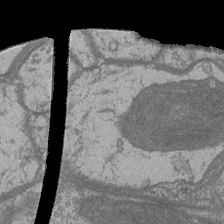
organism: Drosophila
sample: Optic medulla